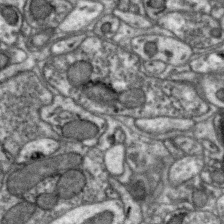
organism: Zebra finch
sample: Brain